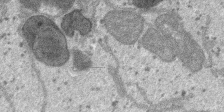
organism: Human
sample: Lung epithelial cells infected with SARS-CoV-2